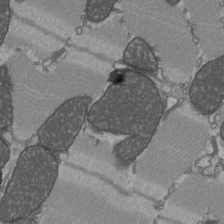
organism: C57BL Mouse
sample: Heart